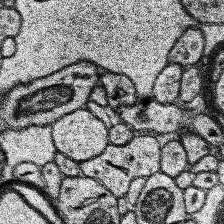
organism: Human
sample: Temporal Lobe